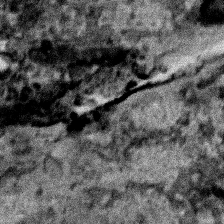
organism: Human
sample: Mitochondria in HCT116 cells